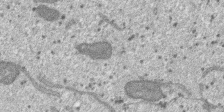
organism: Human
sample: Lung epithelial cells infected with SARS-CoV-2